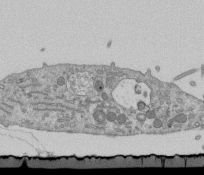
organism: Mouse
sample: ED-1 cell nuclei; centrioles